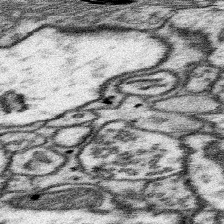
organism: Mouse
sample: Somatosensory cortex neuropil